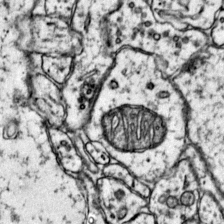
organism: Mouse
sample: Primary visual cortex